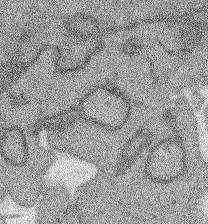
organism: Human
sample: HeLa cells